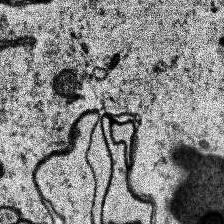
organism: Human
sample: Temporal Lobe